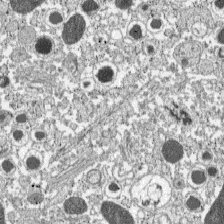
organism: C57BL Mouse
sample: Pancreatic islet